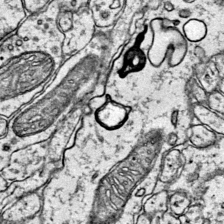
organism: Mouse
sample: Primary visual cortex